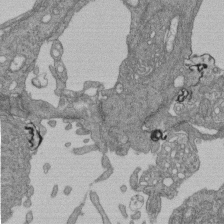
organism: Human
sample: Retinal organoid Rod and Cone cells